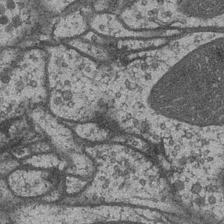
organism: Drosophila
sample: Optic medulla